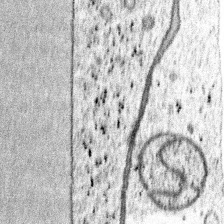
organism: Human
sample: HeLa cells